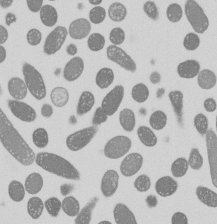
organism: E. coli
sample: Bacterial nucleoid